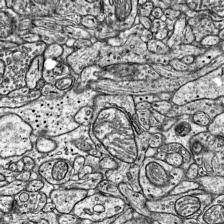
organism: Mouse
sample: Visual Cortex